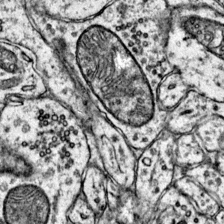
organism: Mouse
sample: Primary visual cortex